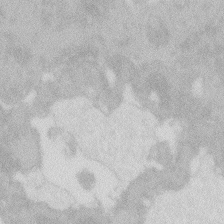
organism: Zebrafish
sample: Macrophage